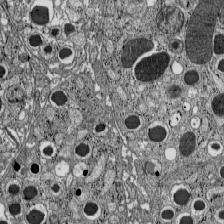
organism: C57BL Mouse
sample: Pancreatic islet